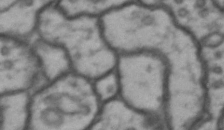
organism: Drosophila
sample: Brain